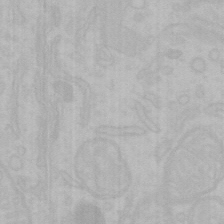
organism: Mouse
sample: Choroid plexus